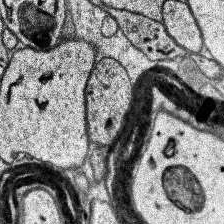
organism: Human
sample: Temporal Lobe